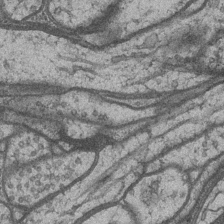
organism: Drosophila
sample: Optic medulla